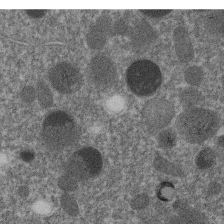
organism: C. elegans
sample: C. elegans embryo early stage